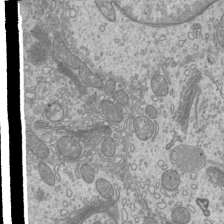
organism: Mouse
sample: Cilia; mouse epididymis